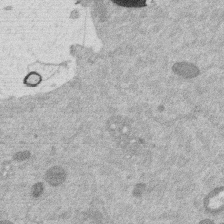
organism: Mouse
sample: Dividing mouse embryo 1 cell stage